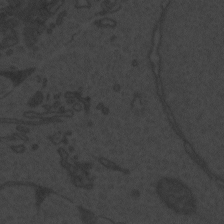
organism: Zebrafish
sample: Macrophage infected with Toxoplasma gondii